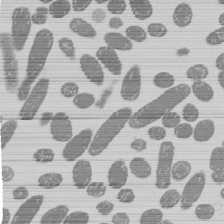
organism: E. coli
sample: Bacterial nucleoid